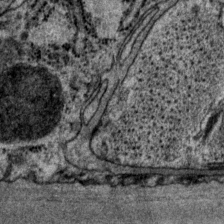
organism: P. pacificus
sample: Pharynx